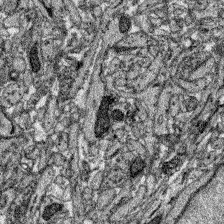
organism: Zebrafish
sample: Larval olfactory bulb